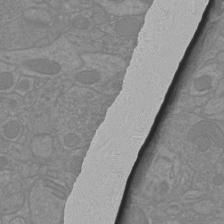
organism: Mouse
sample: Cortical neurons